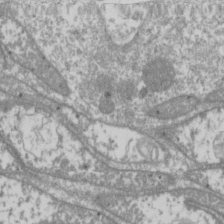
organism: Drosophila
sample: Cell division; meiosis; drosophila spermatocytes